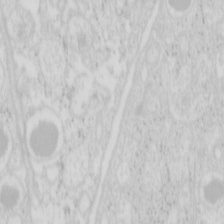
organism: Mouse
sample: Pancreas